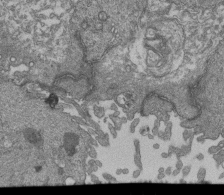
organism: Human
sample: Retinal organoid Rod and Cone cells